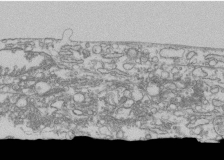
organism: Human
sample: Fibroblast cells